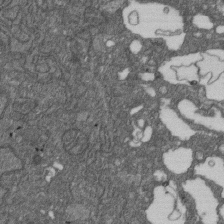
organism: Drosophila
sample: Nephrocyte